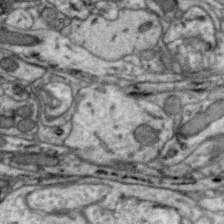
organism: Zebra finch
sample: Brain